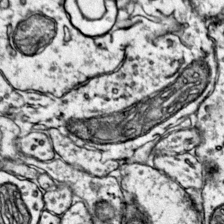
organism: Mouse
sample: Primary visual cortex